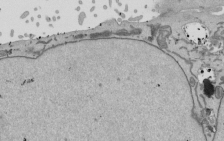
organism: Mouse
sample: ED-1 cell nuclei; centrioles